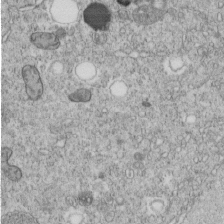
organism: C. elegans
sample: C. elegans embryo early stage